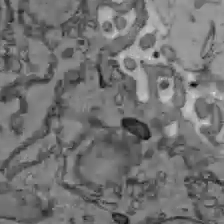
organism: C57BL Mouse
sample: Liver